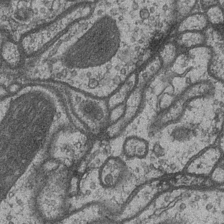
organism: Drosophila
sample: Optic medulla